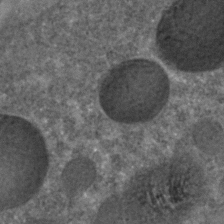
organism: C. elegans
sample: C. elegans embryo